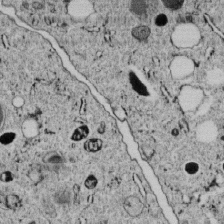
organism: C. elegans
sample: C. elegans embryo early stage